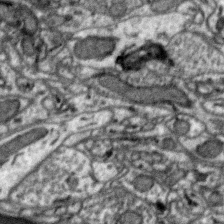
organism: Zebra finch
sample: Brain